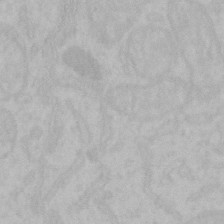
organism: Mouse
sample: Choroid plexus